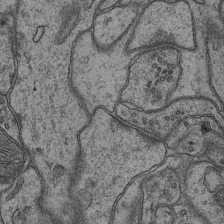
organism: Mouse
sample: CA1 Hippocampus